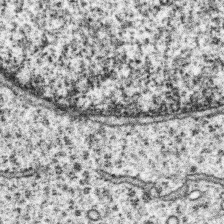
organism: Human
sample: HeLa cells